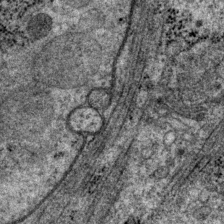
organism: P. pacificus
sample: Pharynx